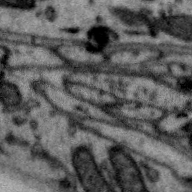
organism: Zebra finch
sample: Brain